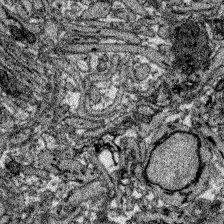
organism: Zebrafish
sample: Larval olfactory bulb